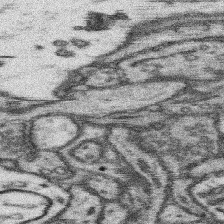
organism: Mouse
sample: Somatosensory cortex neuropil